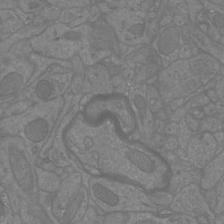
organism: Mouse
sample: Cortical neurons